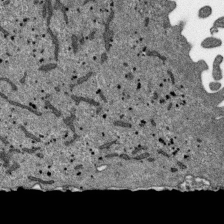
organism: Human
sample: Lung epithelial cells, uninfected (mock) control